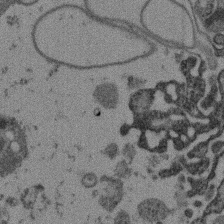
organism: Mouse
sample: Dividing mouse embryo 1 cell stage